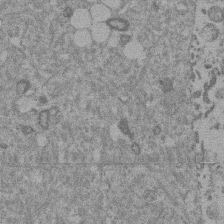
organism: Mouse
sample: Dividing mouse embryo 1 cell stage